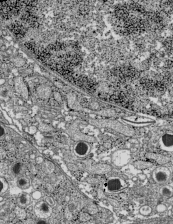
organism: C57BL Mouse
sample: Pancreatic islet